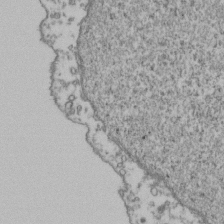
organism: Human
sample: Activated Jurkat CD4+ T cells